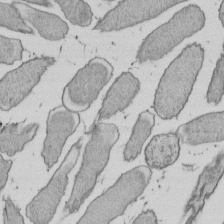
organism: E. coli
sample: Bacterial nucleoid